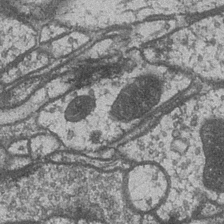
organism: Drosophila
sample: Optic medulla